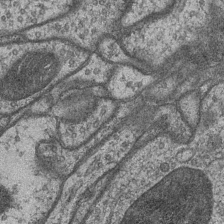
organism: Drosophila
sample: Optic medulla